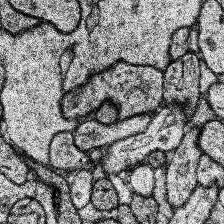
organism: Human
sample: Temporal Lobe